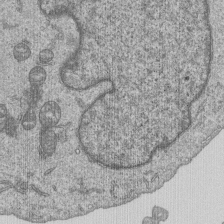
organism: Human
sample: MDA-MB-231 cells